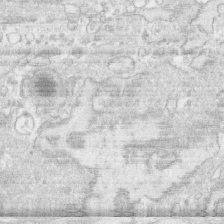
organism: Human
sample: CRL-1474